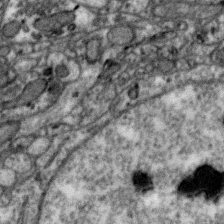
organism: Zebra finch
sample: Brain